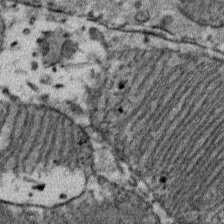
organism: Mouse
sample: Mouse Salivary gland